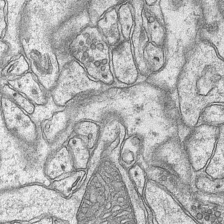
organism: Mouse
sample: CA1 Hippocampus